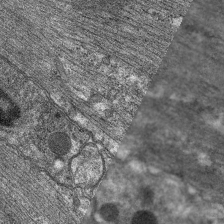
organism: C. elegans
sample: Pharynx